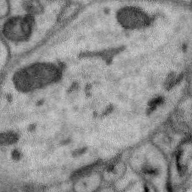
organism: Zebra finch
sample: Brain